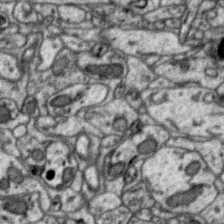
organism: Zebra finch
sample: Brain